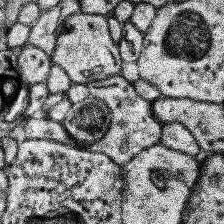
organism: Human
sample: Temporal Lobe